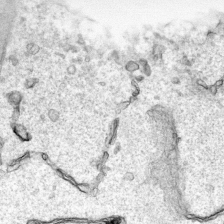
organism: Human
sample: Mitochondria in HCT116 cells